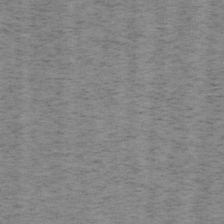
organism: Mouse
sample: OT-I killer T cells with ID8 ovarian cancer cells